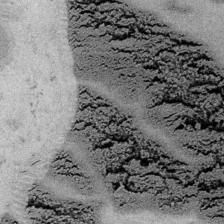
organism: Embia sp.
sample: Silk gland